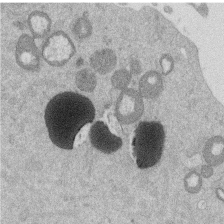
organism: Mouse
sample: Dividing mouse embryo 1 cell stage